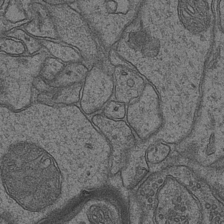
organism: Mouse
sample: CA1 Hippocampus